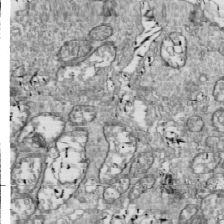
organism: Drosophila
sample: Cell division; meiosis; drosophila spermatocytes